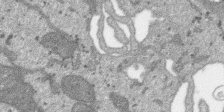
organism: Human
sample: Lung epithelial cells infected with SARS-CoV-2